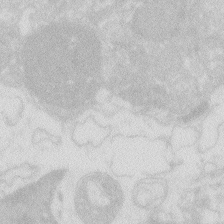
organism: Zebrafish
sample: Macrophage